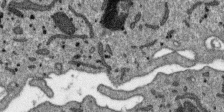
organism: Human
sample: Lung epithelial cells, uninfected (mock) control